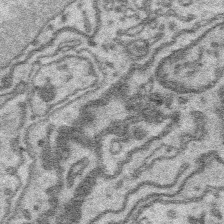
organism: Platynereis dumerilii